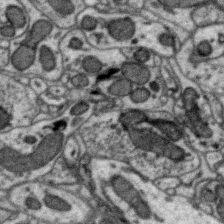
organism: Zebra finch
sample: Brain